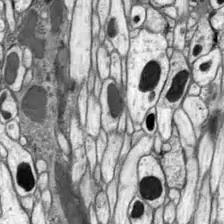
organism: Drosophila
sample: Optic lobe